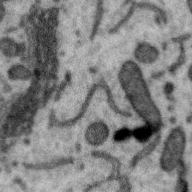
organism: Zebra finch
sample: Brain